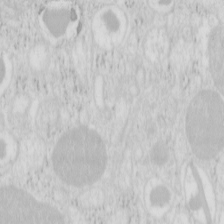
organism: Mouse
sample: Pancreas